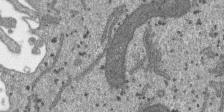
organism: Human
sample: Lung epithelial cells infected with SARS-CoV-2